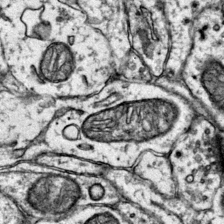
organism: Mouse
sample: Primary visual cortex